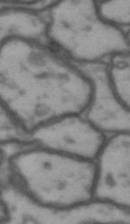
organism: Drosophila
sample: Brain